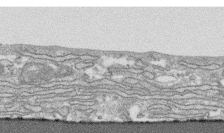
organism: Human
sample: CRL-1474